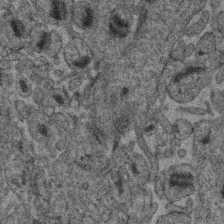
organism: Human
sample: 1205lu cells